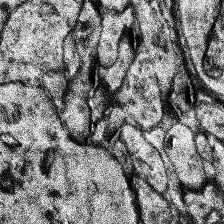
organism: Human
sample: Temporal Lobe